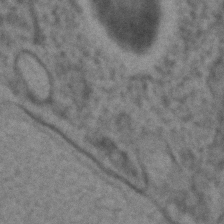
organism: C. elegans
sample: C. elegans embryo